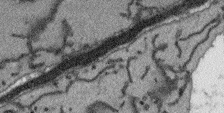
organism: Arabidopsis thaliana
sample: Root tip